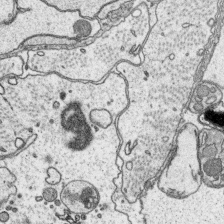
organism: Platynereis dumerilii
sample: Parapodia